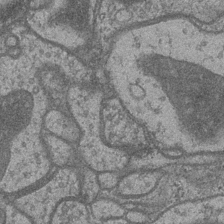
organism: Drosophila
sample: Optic medulla